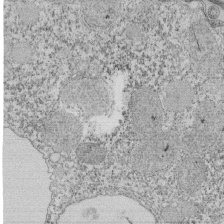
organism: Tetrahymena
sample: Cilia in tetrahymena